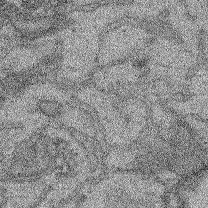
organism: Human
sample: HeLa cells